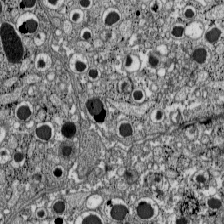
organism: C57BL Mouse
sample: Pancreatic islet